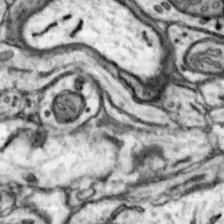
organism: Mouse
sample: Nucleus accumbens